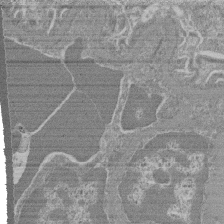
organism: Mouse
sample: Glomerulus